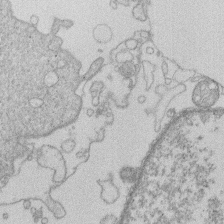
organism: Human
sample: Macrophage cells